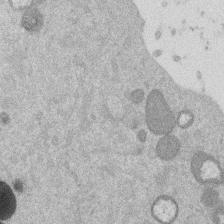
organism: Mouse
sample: Dividing mouse embryo 1 cell stage